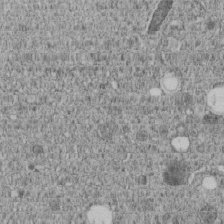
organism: C. elegans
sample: C. elegans embryo early stage